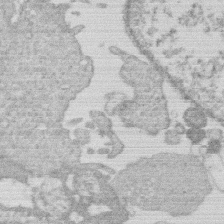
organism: Human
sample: Macrophage cells